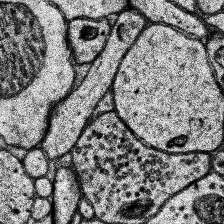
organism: Human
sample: Temporal Lobe